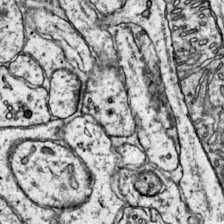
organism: Mouse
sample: Primary visual cortex